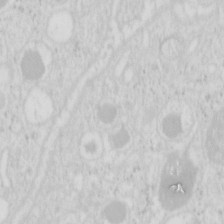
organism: Mouse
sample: Pancreas